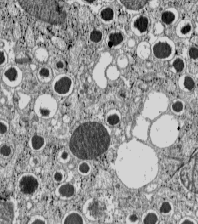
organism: C57BL Mouse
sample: Pancreatic islet